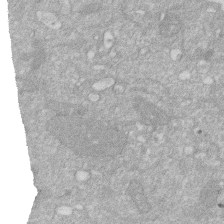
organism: Human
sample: HIV infected U937 cells